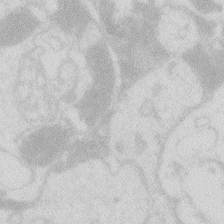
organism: Zebrafish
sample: Macrophage